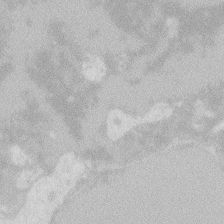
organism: Zebrafish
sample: Macrophage